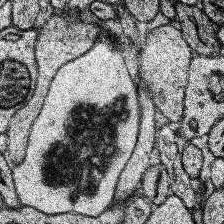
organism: Human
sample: Temporal Lobe